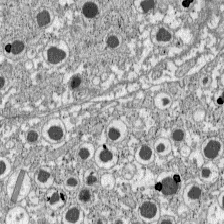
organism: C57BL Mouse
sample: Pancreatic islet